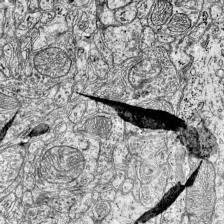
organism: Mouse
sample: Visual Cortex